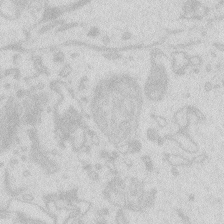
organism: Zebrafish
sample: Macrophage